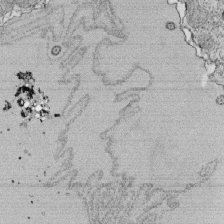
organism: Tetrahymena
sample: Cilia in tetrahymena